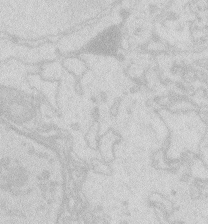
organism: Zebrafish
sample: Macrophage